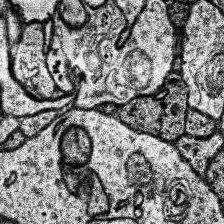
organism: Human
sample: Temporal Lobe